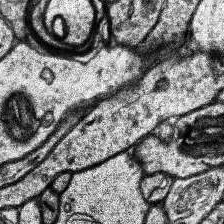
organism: Human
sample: Temporal Lobe